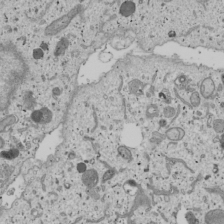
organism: Human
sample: Mitochondria in U2OS cells